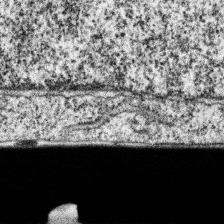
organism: Human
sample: HeLa cells